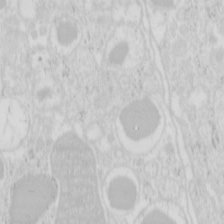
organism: Mouse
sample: Pancreas